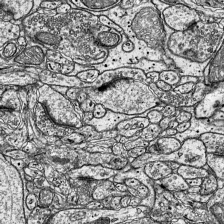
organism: Mouse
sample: Visual Cortex